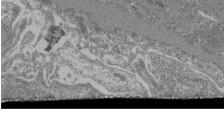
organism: Mouse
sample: Glomerulus